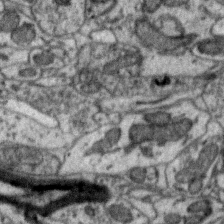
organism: Zebra finch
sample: Brain